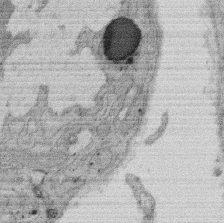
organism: Rat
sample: Salivary granule